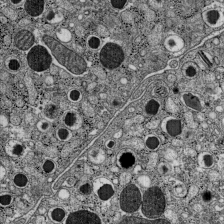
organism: C57BL Mouse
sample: Pancreatic islet